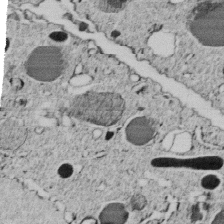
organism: C. elegans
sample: C. elegans embryo early stage